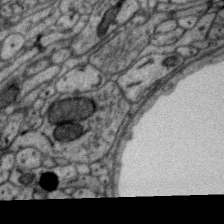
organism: Zebra finch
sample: Brain